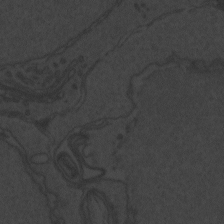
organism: Zebrafish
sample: Macrophage infected with Toxoplasma gondii